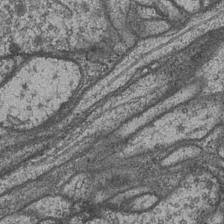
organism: Drosophila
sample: Optic medulla